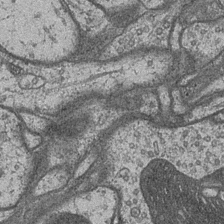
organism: Drosophila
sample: Optic medulla